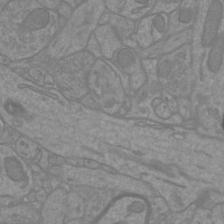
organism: Mouse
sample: Cortical neurons